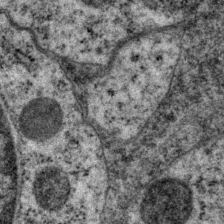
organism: P. pacificus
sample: Pharynx